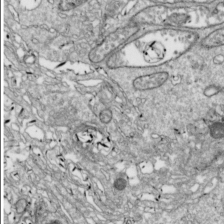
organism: Drosophila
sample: Cell division; meiosis; drosophila spermatocytes